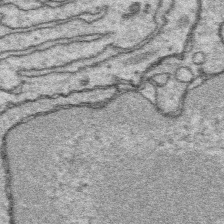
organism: Platynereis dumerilii